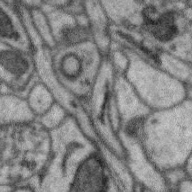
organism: Zebra finch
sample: Brain